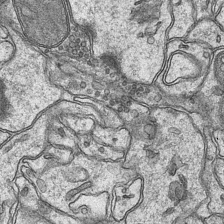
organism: Mouse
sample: CA1 Hippocampus